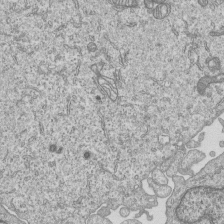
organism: Human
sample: MDA-MB-231 cells